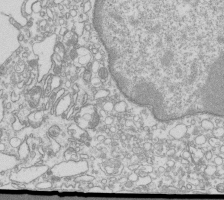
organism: Mouse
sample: Macrophages